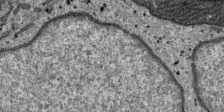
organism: Human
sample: Lung epithelial cells, uninfected (mock) control